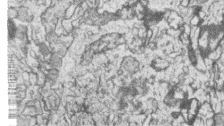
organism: Zebrafish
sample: synaptic ribbons in rod cells and cone cells